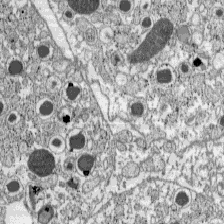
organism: C57BL Mouse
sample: Pancreatic islet